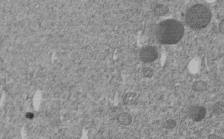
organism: C. elegans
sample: C. elegans embryo early stage